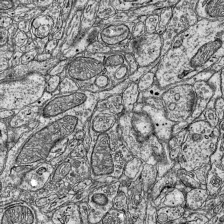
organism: Mouse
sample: Visual Cortex